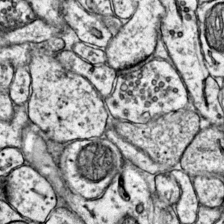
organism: Mouse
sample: Primary visual cortex